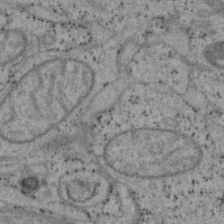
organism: Human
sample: HeLa cells